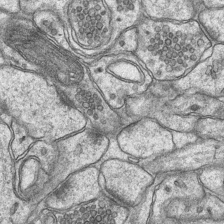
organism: Mouse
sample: CA1 Hippocampus